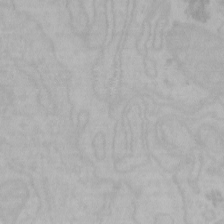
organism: Mouse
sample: Choroid plexus